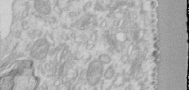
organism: Human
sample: Centriole in RPE cells